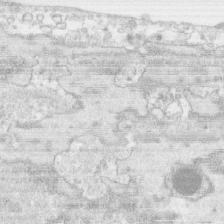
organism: Human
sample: CRL-1474